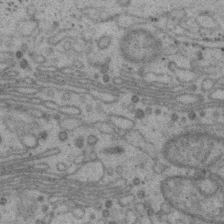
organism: Human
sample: HeLa cells